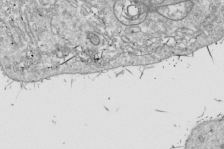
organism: Drosophila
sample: Cell division; meiosis; drosophila spermatocytes